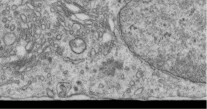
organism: Human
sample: Centriole in RPE cells